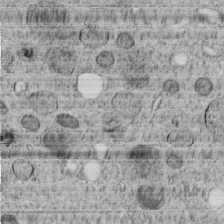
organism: C. elegans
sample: C. elegans embryo early stage